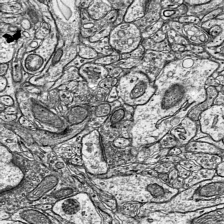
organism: Mouse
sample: Visual Cortex